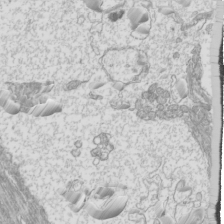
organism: Mouse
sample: Cilia; mouse epididymis